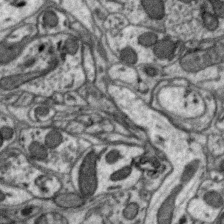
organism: Zebra finch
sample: Brain